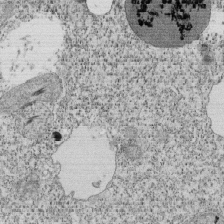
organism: Tetrahymena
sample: Cilia in tetrahymena